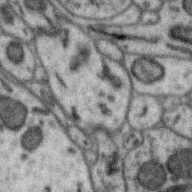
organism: Zebra finch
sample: Brain